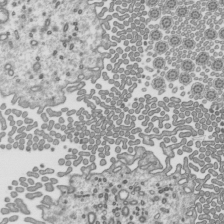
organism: Mouse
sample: Mouse epididymis efferent ductule cilia